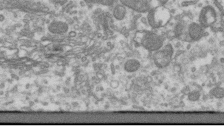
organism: Human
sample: Centriole in RPE cells